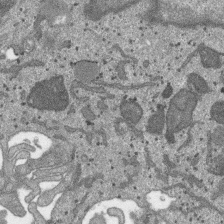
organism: Human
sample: Lung epithelial cells infected with SARS-CoV-2